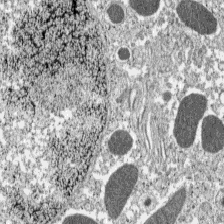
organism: C57BL Mouse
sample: Pancreatic islet